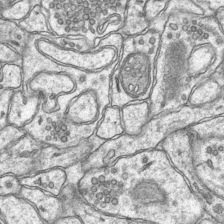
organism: Mouse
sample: CA1 Hippocampus